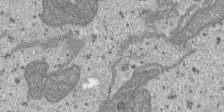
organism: Human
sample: Lung epithelial cells infected with SARS-CoV-2